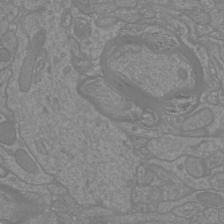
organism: Mouse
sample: Cortical neurons